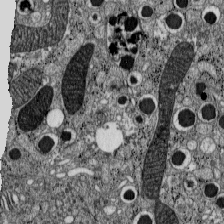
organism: C57BL Mouse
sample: Pancreatic islet